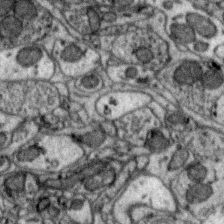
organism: Zebra finch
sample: Brain